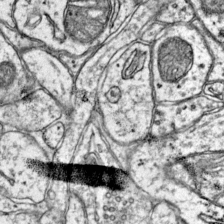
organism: Mouse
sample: Primary visual cortex